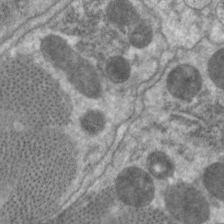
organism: C. elegans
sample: Pharynx